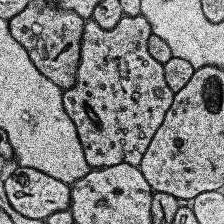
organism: Human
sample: Temporal Lobe